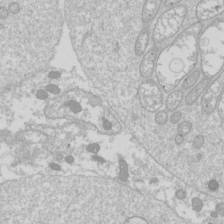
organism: Drosophila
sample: Cell division; meiosis; drosophila spermatocytes